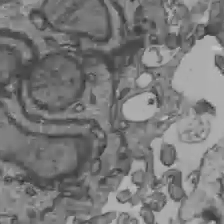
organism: C57BL Mouse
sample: Liver